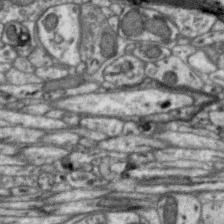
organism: Zebra finch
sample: Brain